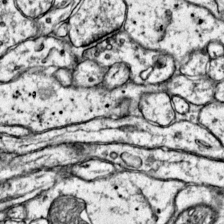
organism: Mouse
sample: Primary visual cortex